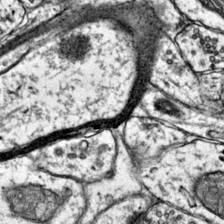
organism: Mouse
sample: Primary visual cortex